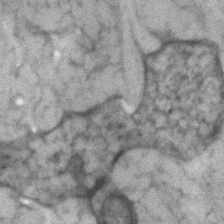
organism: Human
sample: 1205lu cells